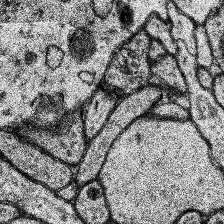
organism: Human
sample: Temporal Lobe